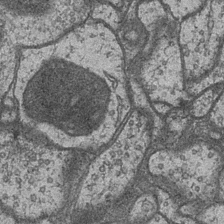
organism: Drosophila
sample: Optic medulla